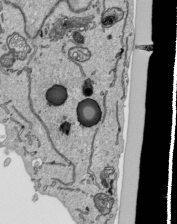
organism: Human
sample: Mitochondria in HCT116 cells